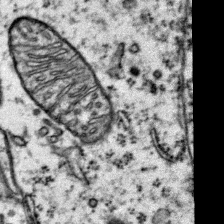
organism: Mouse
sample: Primary visual cortex